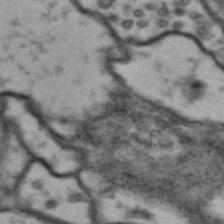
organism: Drosophila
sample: Brain